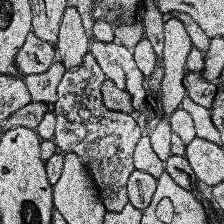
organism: Human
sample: Temporal Lobe